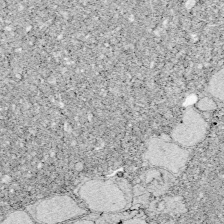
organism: Zebrafish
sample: Whole-Brain